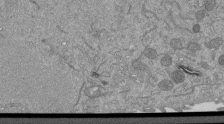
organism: Mouse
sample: ED-1 cell nuclei; centrioles